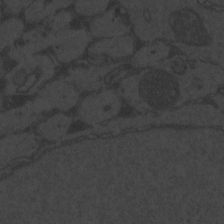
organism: Zebrafish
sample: Macrophage infected with Toxoplasma gondii